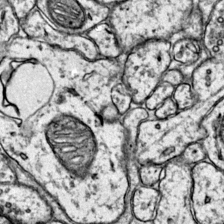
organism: Mouse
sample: Primary visual cortex